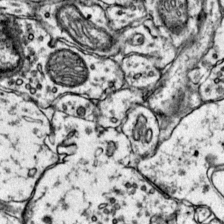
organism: Mouse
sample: Primary visual cortex